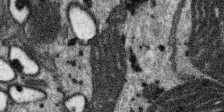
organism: Human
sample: Lung epithelial cells infected with SARS-CoV-2